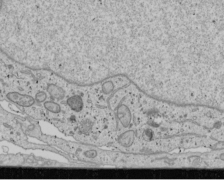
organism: Human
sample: Mitochondria in U2OS cells